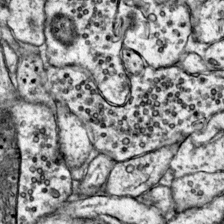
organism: Mouse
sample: Primary visual cortex